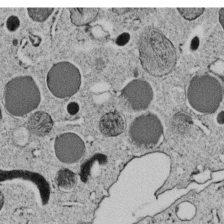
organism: C. elegans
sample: C. elegans embryo early stage